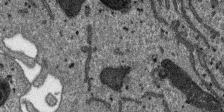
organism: Human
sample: Lung epithelial cells infected with SARS-CoV-2